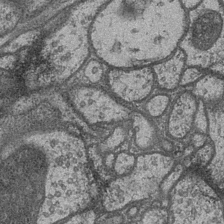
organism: Drosophila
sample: Optic medulla